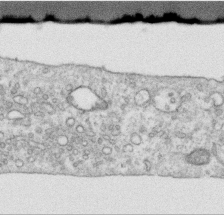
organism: Human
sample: Centriole in RPE cells